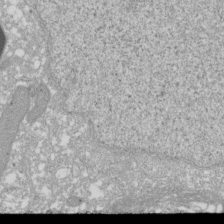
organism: Xenopus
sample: Cilia; centrioles in frog embryo cells